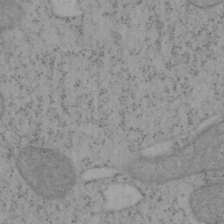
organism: Mouse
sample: OT-I killer T cells with ID8 ovarian cancer cells